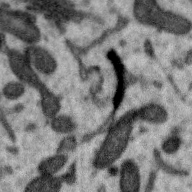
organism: Zebra finch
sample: Brain